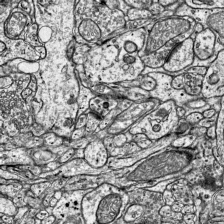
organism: Mouse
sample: Visual Cortex